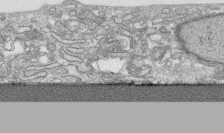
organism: Human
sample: CRL-1474